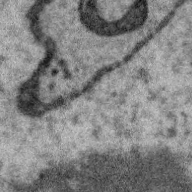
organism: Zebra finch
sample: Brain